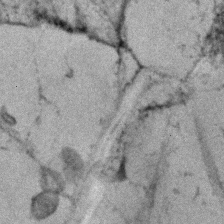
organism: Human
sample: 1205lu cells